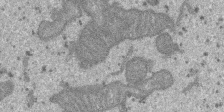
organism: Human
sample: Lung epithelial cells infected with SARS-CoV-2